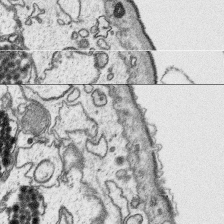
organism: Platynereis dumerilii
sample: Parapodia